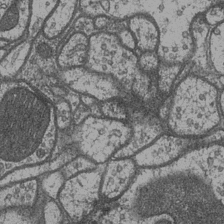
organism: Drosophila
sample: Optic medulla